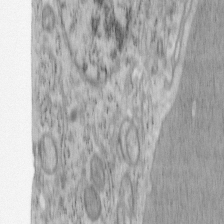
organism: Human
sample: HeLa cells